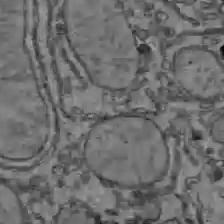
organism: C57BL Mouse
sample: Liver